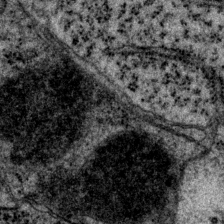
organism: P. pacificus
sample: Pharynx